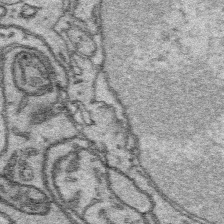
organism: Platynereis dumerilii